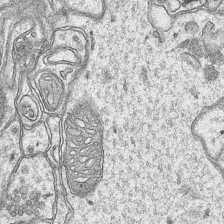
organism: Mouse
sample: CA1 Hippocampus